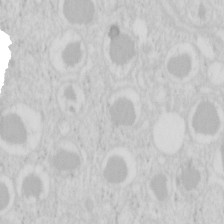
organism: Mouse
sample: Pancreas